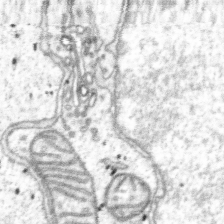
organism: Human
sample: HeLa cells